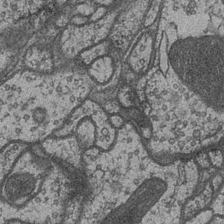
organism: Drosophila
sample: Optic medulla